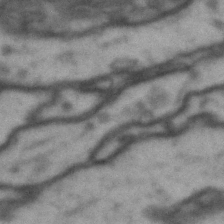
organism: Drosophila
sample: Brain